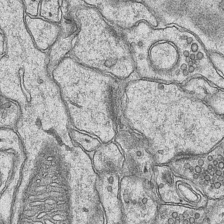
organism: Mouse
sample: CA1 Hippocampus